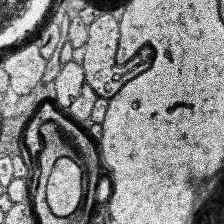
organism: Human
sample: Temporal Lobe